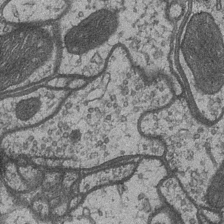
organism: Drosophila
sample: Optic medulla